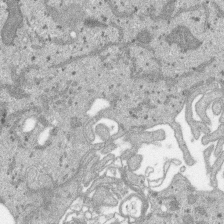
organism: Human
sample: Lung epithelial cells infected with SARS-CoV-2